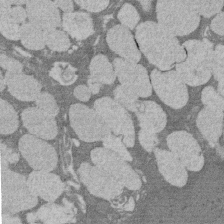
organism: Rat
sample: Salivary granule